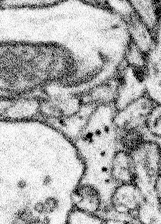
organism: Mouse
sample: Somatosensory cortex neuropil